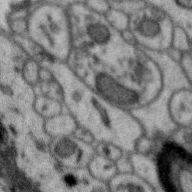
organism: Zebra finch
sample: Brain